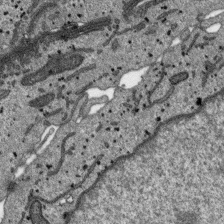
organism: Human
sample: Lung epithelial cells, uninfected (mock) control